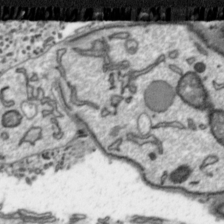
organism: Toxoplasma gondii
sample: Parasites in a vacuole inside a host cell